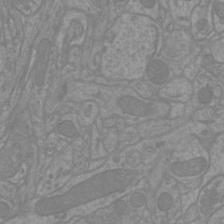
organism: Mouse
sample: Cortical neurons